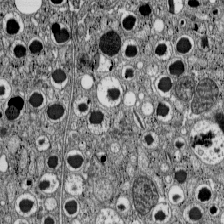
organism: C57BL Mouse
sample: Pancreatic islet